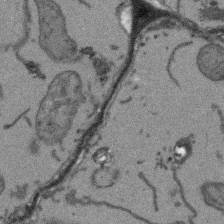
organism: Arabidopsis thaliana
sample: Root tip